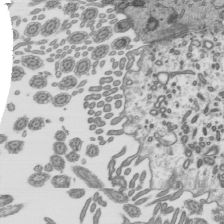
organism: Mouse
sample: Mouse epididymis efferent ductule cilia